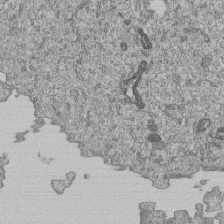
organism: Human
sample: MDA-MB-231 cells